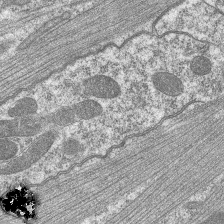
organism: C. elegans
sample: Pharynx